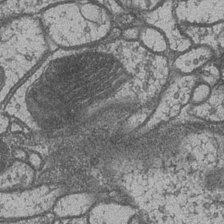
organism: Drosophila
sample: Optic medulla